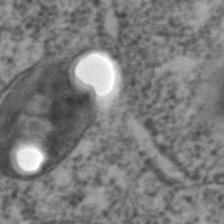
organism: C. elegans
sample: C. elegans embryo